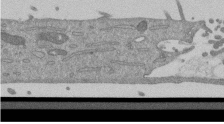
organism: Mouse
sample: ED-1 cell nuclei; centrioles